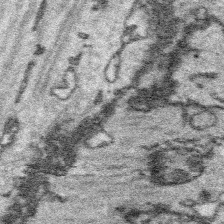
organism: Platynereis dumerilii